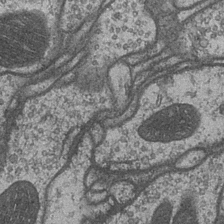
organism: Drosophila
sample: Optic medulla